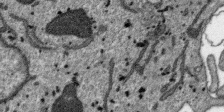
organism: Human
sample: Lung epithelial cells, uninfected (mock) control